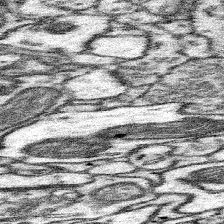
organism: Mouse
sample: Somatosensory cortex neuropil